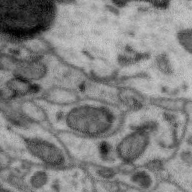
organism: Zebra finch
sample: Brain